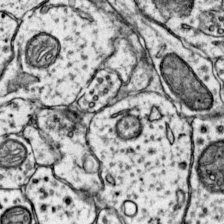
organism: Mouse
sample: Primary visual cortex